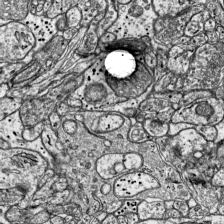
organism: Mouse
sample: Visual Cortex